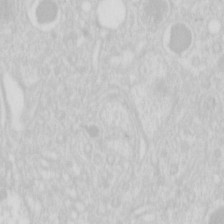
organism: Mouse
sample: Pancreas